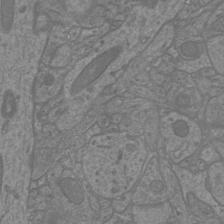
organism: Mouse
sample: Cortical neurons